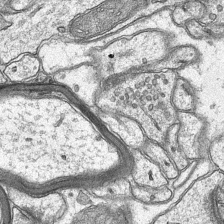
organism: Mouse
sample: CA1 Hippocampus